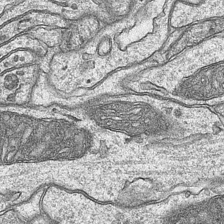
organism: Mouse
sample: CA1 Hippocampus